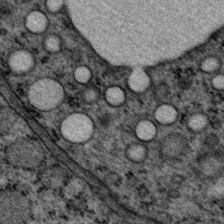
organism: P. pacificus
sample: Pharynx